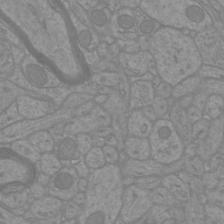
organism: Mouse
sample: Cortical neurons